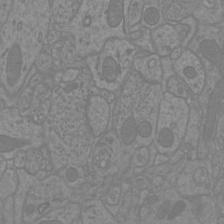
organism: Mouse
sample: Cortical neurons